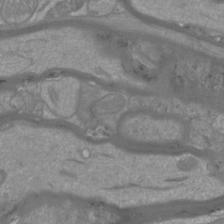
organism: Mouse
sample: Cortical neurons